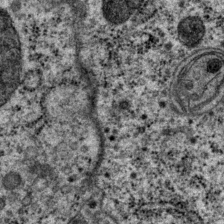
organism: P. pacificus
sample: Pharynx